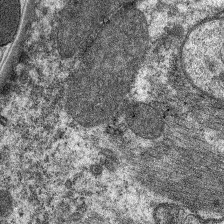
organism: C. elegans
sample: Pharynx